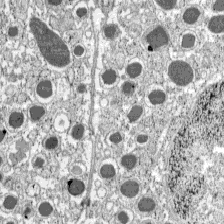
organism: C57BL Mouse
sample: Pancreatic islet